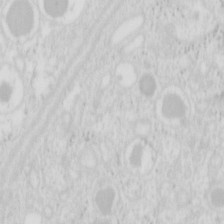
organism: Mouse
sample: Pancreas